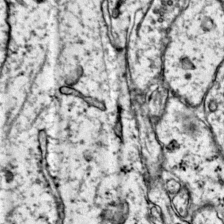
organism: Mouse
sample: Primary visual cortex